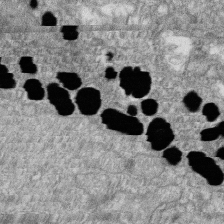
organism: Zebrafish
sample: Cilia; retinal pigment epithelium